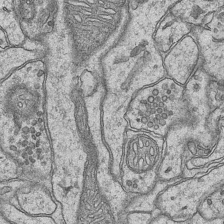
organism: Mouse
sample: CA1 Hippocampus